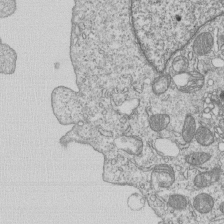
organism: Human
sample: MDA-MB-231 cells